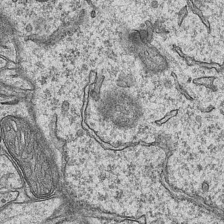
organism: Mouse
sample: CA1 Hippocampus